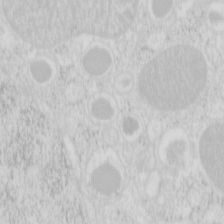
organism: Mouse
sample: Pancreas